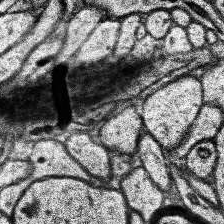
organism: Human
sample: Temporal Lobe